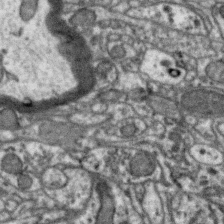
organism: Zebra finch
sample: Brain